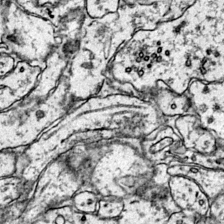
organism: Mouse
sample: Primary visual cortex